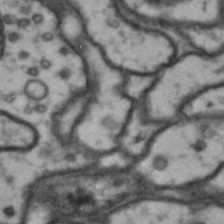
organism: Drosophila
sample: Brain